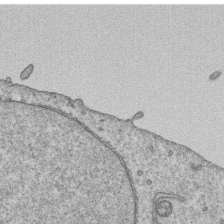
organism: Human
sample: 1205lu cells